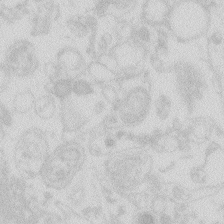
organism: Zebrafish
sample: Macrophage